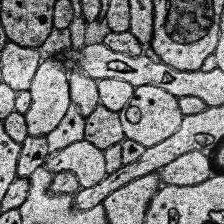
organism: Human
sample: Temporal Lobe